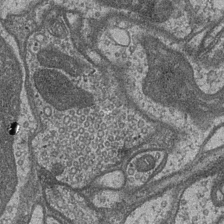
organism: Drosophila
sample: Optic medulla